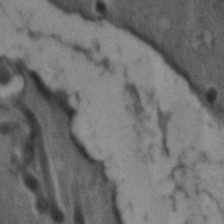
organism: Zebrafish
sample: Zebrafish embryo